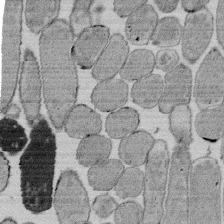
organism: E. coli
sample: Bacterial nucleoid